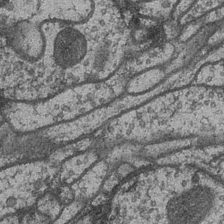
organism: Drosophila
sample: Optic medulla